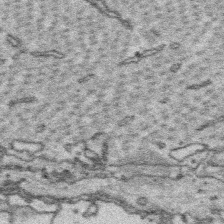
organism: Platynereis dumerilii